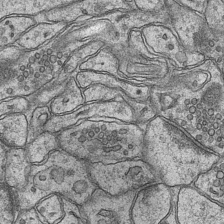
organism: Mouse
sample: CA1 Hippocampus